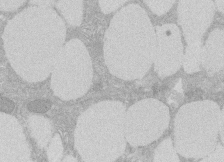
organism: Rat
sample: Salivary granule